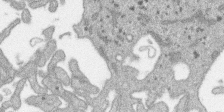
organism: Human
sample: Lung epithelial cells infected with SARS-CoV-2